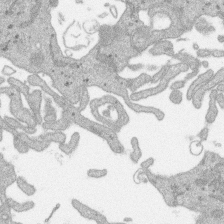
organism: Human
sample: Lung epithelial cells infected with SARS-CoV-2